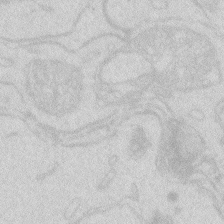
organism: Zebrafish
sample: Macrophage